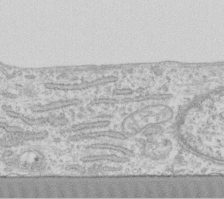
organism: Human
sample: Fibroblast cells